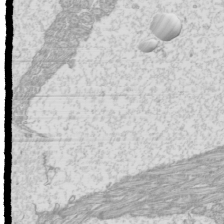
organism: Mouse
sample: Cilia; mouse epididymis